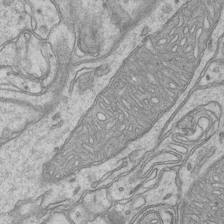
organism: Mouse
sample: CA1 Hippocampus